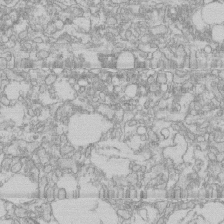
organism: Human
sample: CRL-1474